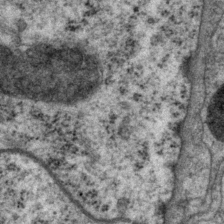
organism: P. pacificus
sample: Pharynx